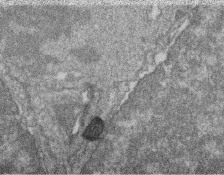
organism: Zebrafish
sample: Cilia; retinal pigment epithelium